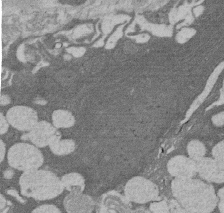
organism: Rat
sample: Salivary granule